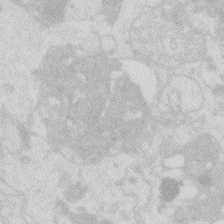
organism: Zebrafish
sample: Macrophage